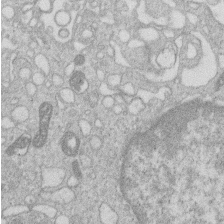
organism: Human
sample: Macrophage cells